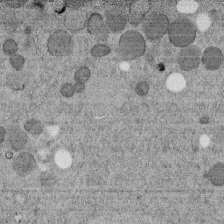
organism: C. elegans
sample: C. elegans embryo early stage